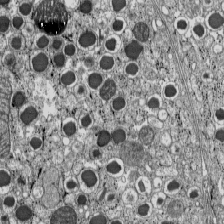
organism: C57BL Mouse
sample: Pancreatic islet